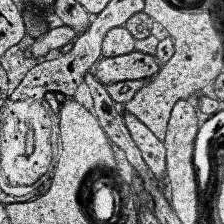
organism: Human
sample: Temporal Lobe